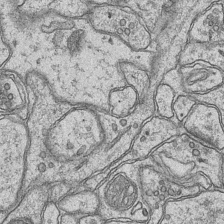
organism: Mouse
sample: CA1 Hippocampus